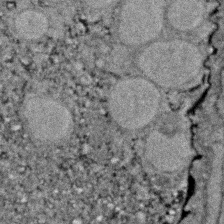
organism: Zebrafish